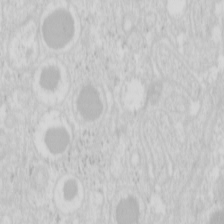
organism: Mouse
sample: Pancreas